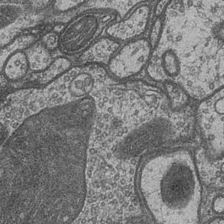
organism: Drosophila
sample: Optic medulla